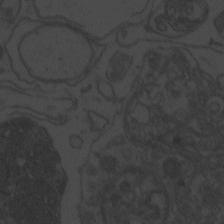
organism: Zebrafish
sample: Macrophage infected with Toxoplasma gondii